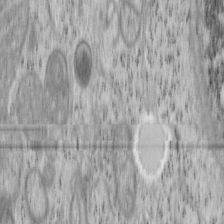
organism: Human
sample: HeLa cells